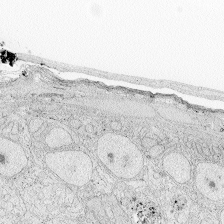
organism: Zebrafish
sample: Whole-Brain